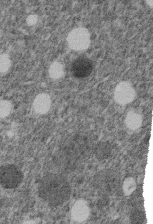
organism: C. elegans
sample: C. elegans embryo early stage